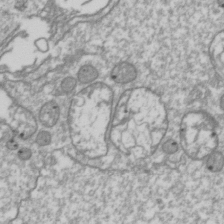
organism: Drosophila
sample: Cell division; meiosis; drosophila spermatocytes